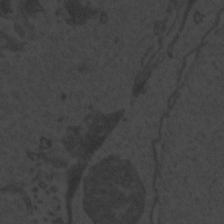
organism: Zebrafish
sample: Macrophage infected with Toxoplasma gondii